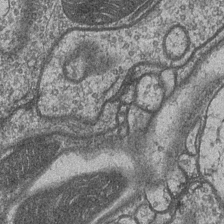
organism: Drosophila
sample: Optic medulla